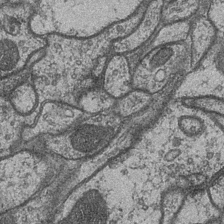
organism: Drosophila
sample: Optic medulla